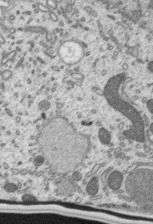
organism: Mouse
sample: Mouse epididymis efferent ductule cilia